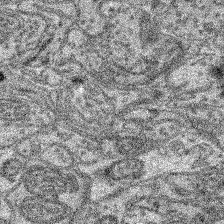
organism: Mouse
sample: Retina